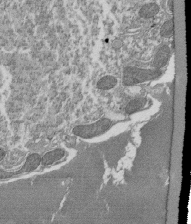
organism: Tetrahymena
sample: Cilia in tetrahymena